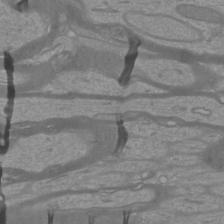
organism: Mouse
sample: Cortical neurons